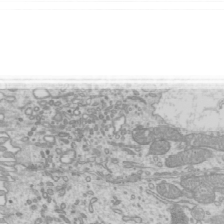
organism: Mouse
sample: Cilia; mouse epididymis